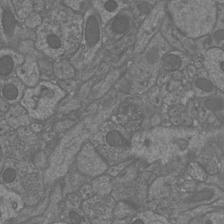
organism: Mouse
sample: Cortical neurons